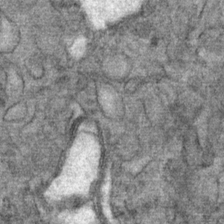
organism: Mouse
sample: Mouse Salivary gland